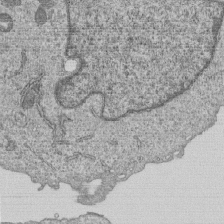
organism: Human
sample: MDA-MB-231 cells